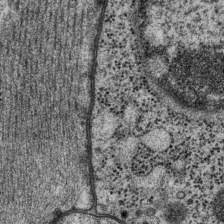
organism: P. pacificus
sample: Pharynx